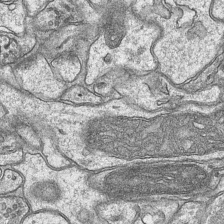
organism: Mouse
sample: CA1 Hippocampus